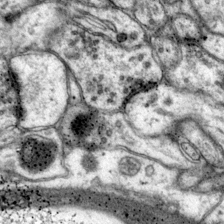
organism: Mouse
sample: Primary visual cortex